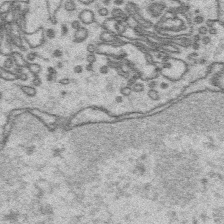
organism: Platynereis dumerilii